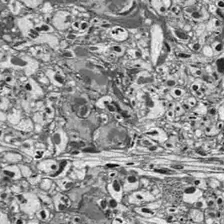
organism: Drosophila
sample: Optic lobe